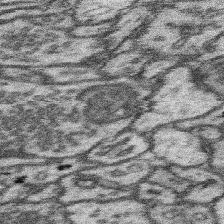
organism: Mouse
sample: Somatosensory cortex neuropil